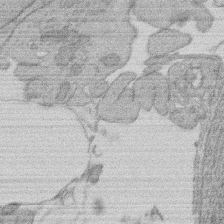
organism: Rat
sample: Salivary granule